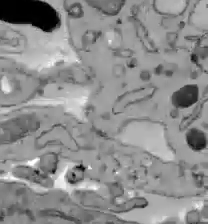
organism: C57BL Mouse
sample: Liver